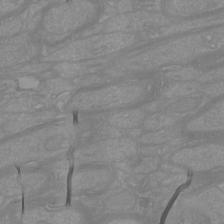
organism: Mouse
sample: Cortical neurons